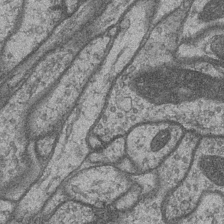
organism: Drosophila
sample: Optic medulla